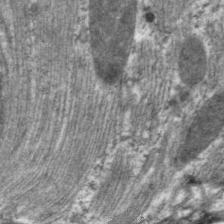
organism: C. elegans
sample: Pharynx